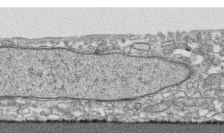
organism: Human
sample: CRL-1474